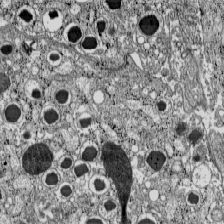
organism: C57BL Mouse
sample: Pancreatic islet